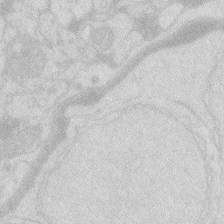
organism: Zebrafish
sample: Macrophage